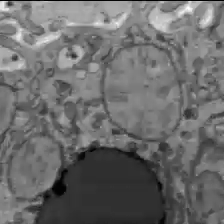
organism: C57BL Mouse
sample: Liver